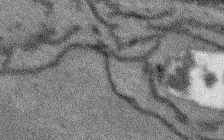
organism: Arabidopsis thaliana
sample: Root tip